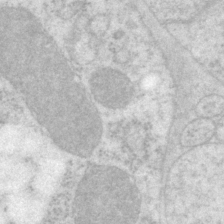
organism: P. pacificus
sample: Pharynx